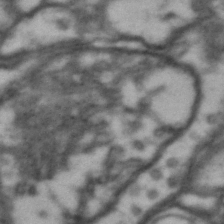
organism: Drosophila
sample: Brain